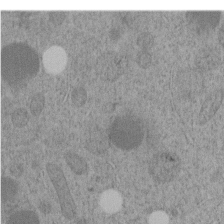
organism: C. elegans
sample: C. elegans embryo early stage